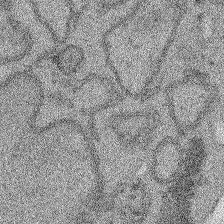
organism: Human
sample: HeLa cells